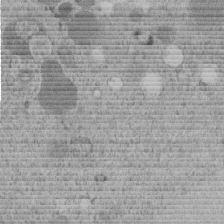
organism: C. elegans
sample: C. elegans embryo early stage